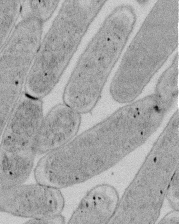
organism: E. coli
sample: Bacterial nucleoid